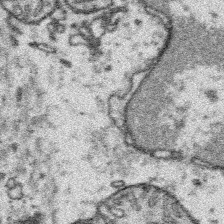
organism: Platynereis dumerilii